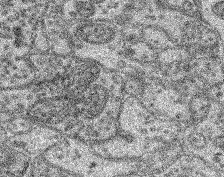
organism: Mouse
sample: Retina